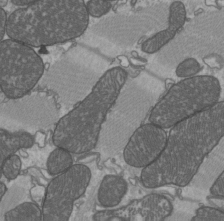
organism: C57BL Mouse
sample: Heart